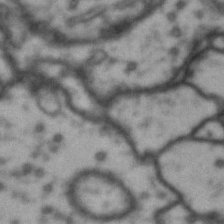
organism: Drosophila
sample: Brain